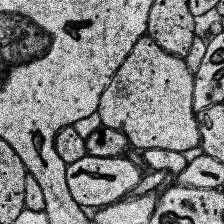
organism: Human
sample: Temporal Lobe